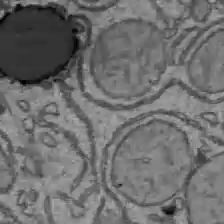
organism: C57BL Mouse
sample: Liver